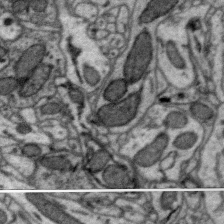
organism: Zebra finch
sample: Brain